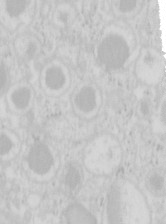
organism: Mouse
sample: Pancreas